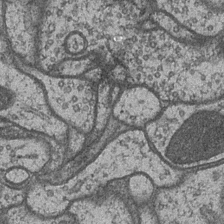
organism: Drosophila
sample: Optic medulla